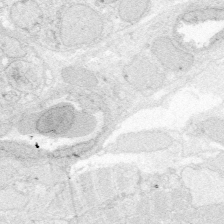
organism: Zebrafish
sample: Whole-Brain